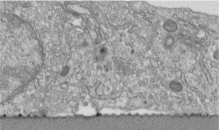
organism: Human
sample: Centriole in fibroblast cells